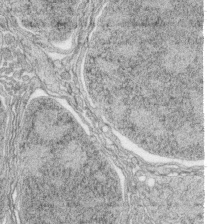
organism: Zebrafish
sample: synaptic ribbons in rod cells and cone cells